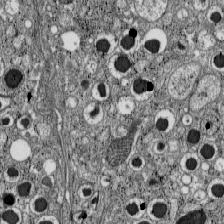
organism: C57BL Mouse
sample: Pancreatic islet